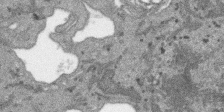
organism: Human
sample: Lung epithelial cells infected with SARS-CoV-2